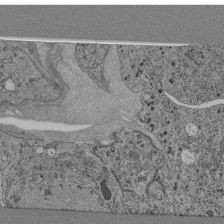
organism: C. elegans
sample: C. elegans pharynx